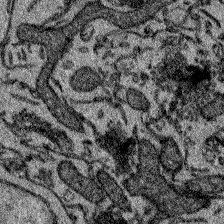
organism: Zebrafish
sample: Larval olfactory bulb